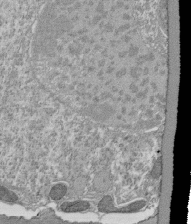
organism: Tetrahymena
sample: Cilia in tetrahymena